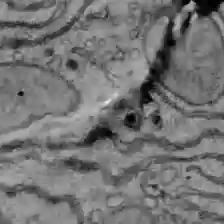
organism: C57BL Mouse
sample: Liver